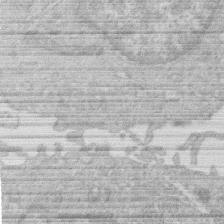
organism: Human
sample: Macrophage cells